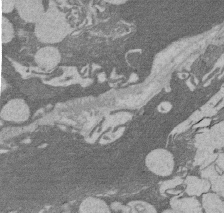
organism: Rat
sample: Salivary granule